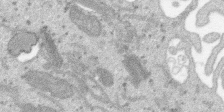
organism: Human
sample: Lung epithelial cells infected with SARS-CoV-2